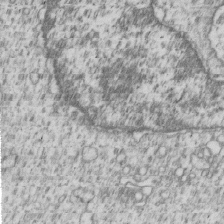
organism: Human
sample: MDA-MB-231 cells